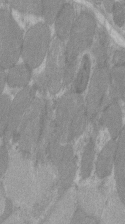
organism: C57BL Mouse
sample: Tibialis anterior muscle cell